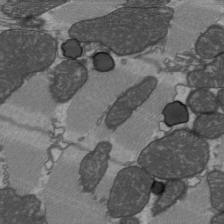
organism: C57BL Mouse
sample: Heart